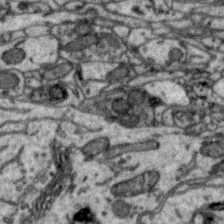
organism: Zebra finch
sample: Brain